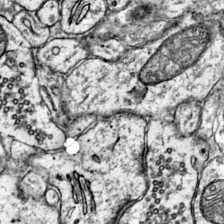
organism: Mouse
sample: Primary visual cortex